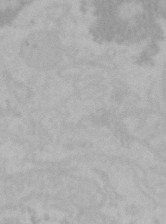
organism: Mouse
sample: Choroid plexus